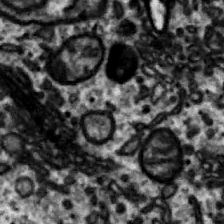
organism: Human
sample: HeLa cells